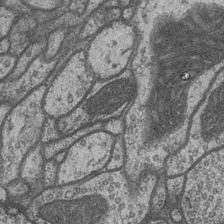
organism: Drosophila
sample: Optic medulla